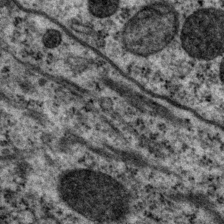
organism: P. pacificus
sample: Pharynx